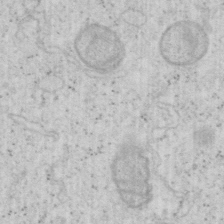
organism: Human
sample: HeLa cells